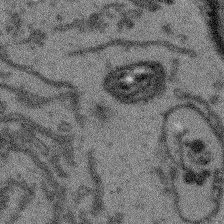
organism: Arabidopsis thaliana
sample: Root tip